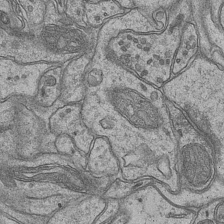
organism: Mouse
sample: CA1 Hippocampus